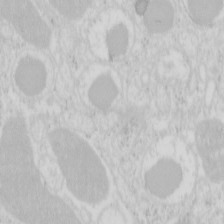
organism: Mouse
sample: Pancreas